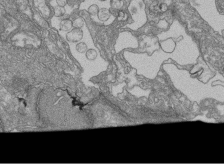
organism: Human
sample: Retinal organoid Rod and Cone cells